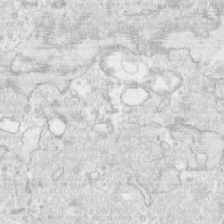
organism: Human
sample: CRL-1474